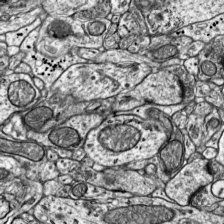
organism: Mouse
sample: Visual Cortex